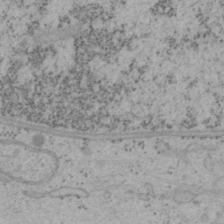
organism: Human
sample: HeLa cells